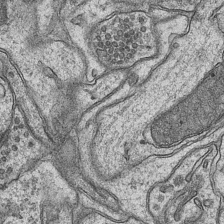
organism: Mouse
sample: CA1 Hippocampus